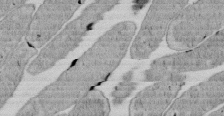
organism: E. coli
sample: Bacterial nucleoid